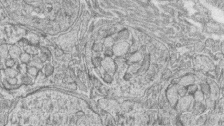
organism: Zebrafish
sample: synaptic ribbons in rod cells and cone cells